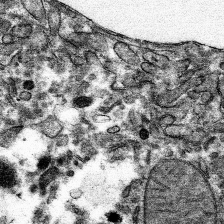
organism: Mouse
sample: Mouse hepatocytes